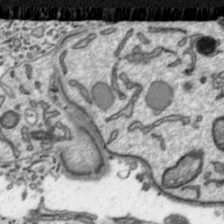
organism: Toxoplasma gondii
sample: Parasites in a vacuole inside a host cell